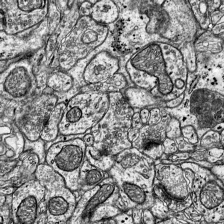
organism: Mouse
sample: Visual Cortex